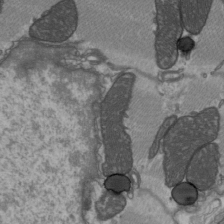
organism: C57BL Mouse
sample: Heart